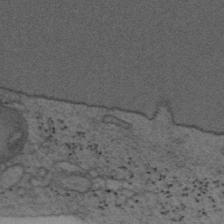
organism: Human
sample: HeLa cells